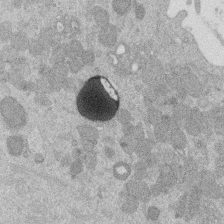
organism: Mouse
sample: Dividing mouse embryo 1 cell stage